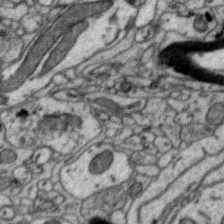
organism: Zebra finch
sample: Brain